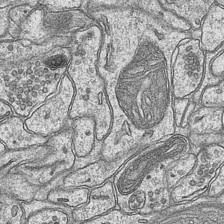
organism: Mouse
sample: CA1 Hippocampus